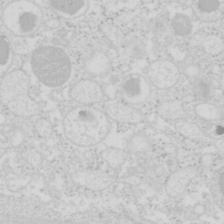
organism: Mouse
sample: Pancreas